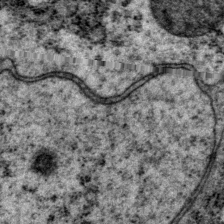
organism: P. pacificus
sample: Pharynx